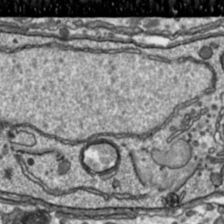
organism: Toxoplasma gondii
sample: Parasites in a vacuole inside a host cell